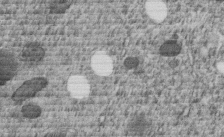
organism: C. elegans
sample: C. elegans embryo early stage